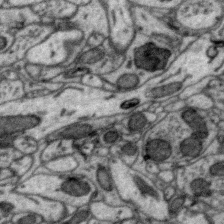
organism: Zebra finch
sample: Brain